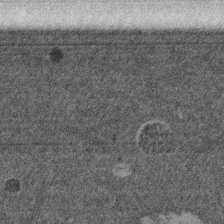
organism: Mouse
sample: Dividing mouse embryo 1 cell stage